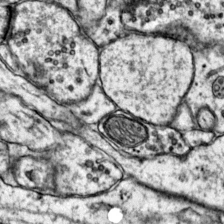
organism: Mouse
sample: Primary visual cortex